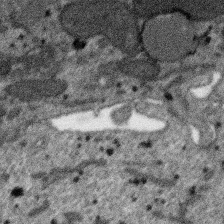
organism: Human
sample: Lung epithelial cells infected with SARS-CoV-2